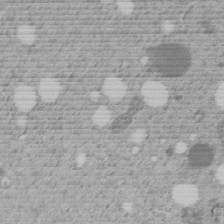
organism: C. elegans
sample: C. elegans embryo early stage